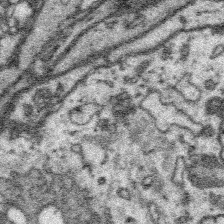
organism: Platynereis dumerilii